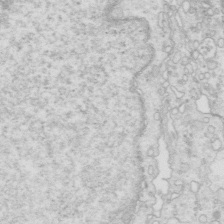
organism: Mouse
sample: Multiciliated cells